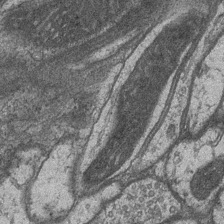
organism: Drosophila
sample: Optic medulla